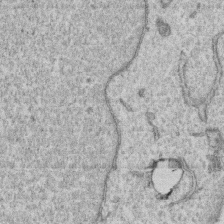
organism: Human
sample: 1205lu cells